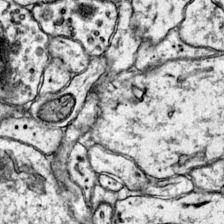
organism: Mouse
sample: Primary visual cortex